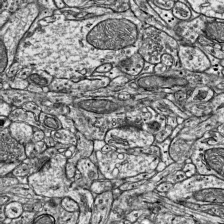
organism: Mouse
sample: Visual Cortex